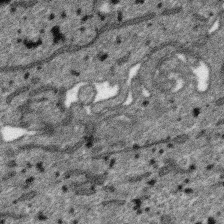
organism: Human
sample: Lung epithelial cells infected with SARS-CoV-2